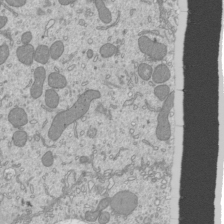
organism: Mouse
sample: Cilia; mouse epididymis